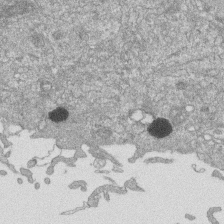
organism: Human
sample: HeLa cell HIV synapse